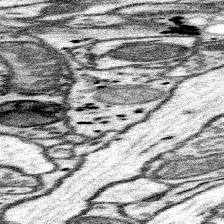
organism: Mouse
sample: Somatosensory cortex neuropil